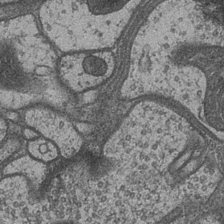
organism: Drosophila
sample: Optic medulla